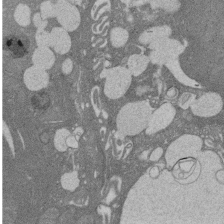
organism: Rat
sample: Salivary granule